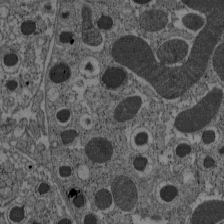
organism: C57BL Mouse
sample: Pancreatic islet